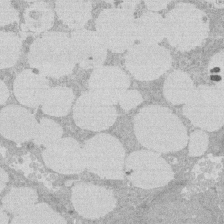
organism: Rat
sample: Salivary granule